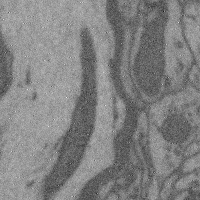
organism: Mouse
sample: Cerebral cortex